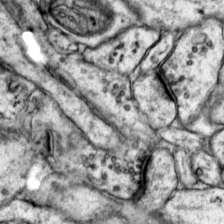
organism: Mouse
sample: Primary visual cortex